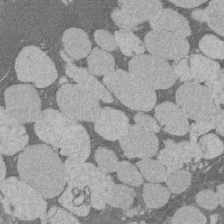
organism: Rat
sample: Salivary granule